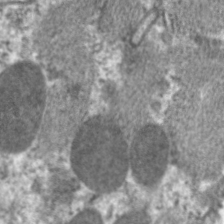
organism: C. elegans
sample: Pharynx